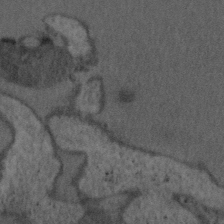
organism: Human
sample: HeLa cells